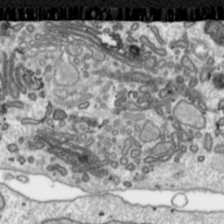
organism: Toxoplasma gondii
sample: Parasites in a vacuole inside a host cell